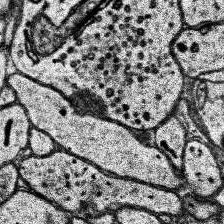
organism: Human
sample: Temporal Lobe